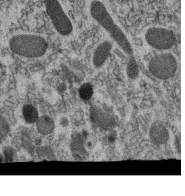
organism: C. elegans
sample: C. elegans oocyte; sperm cells